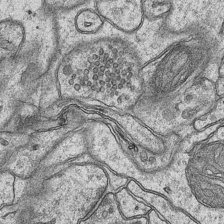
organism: Mouse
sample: CA1 Hippocampus